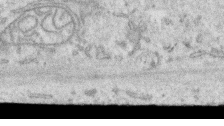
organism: Human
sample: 1205lu cells